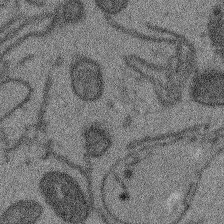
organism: Arabidopsis thaliana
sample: Root tip